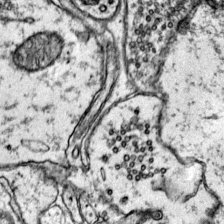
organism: Mouse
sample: Primary visual cortex